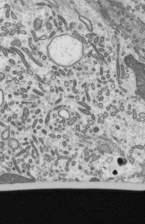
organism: Mouse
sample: Mouse epididymis efferent ductule cilia